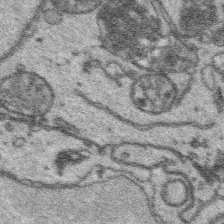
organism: Platynereis dumerilii